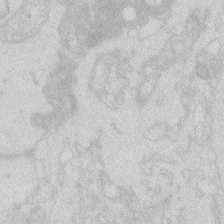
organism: Zebrafish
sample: Macrophage